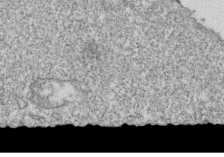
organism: Human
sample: HeLa cell HIV synapse